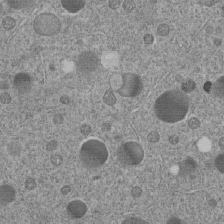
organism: C. elegans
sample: C. elegans embryo early stage